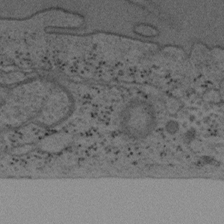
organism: Human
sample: HeLa cells